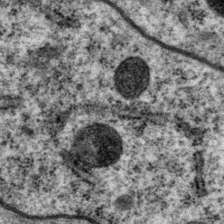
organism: P. pacificus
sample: Pharynx